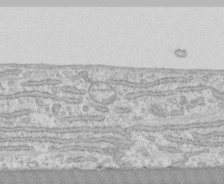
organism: Human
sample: CRL-1474